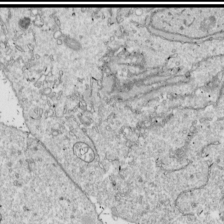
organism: Drosophila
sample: Cell division; meiosis; drosophila spermatocytes